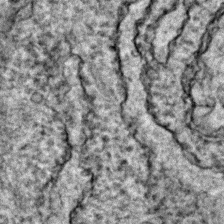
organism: Zebrafish